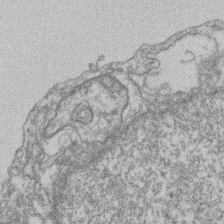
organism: Mouse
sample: T cell stromal cell synapse